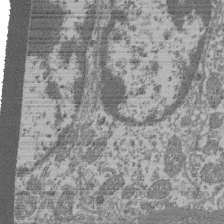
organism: Mouse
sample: Glomerulus